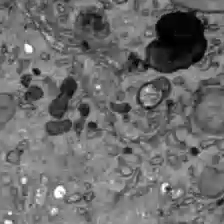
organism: C57BL Mouse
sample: Liver